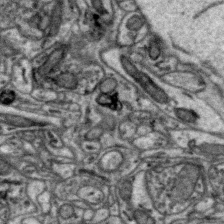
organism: Zebra finch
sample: Brain